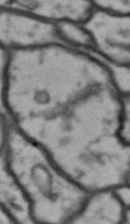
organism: Drosophila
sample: Brain